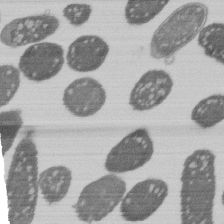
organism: E. coli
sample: Bacterial nucleoid